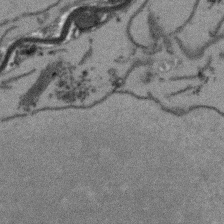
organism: Arabidopsis thaliana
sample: Root tip